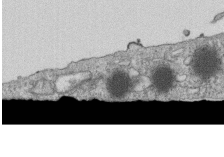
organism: Human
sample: HeLa cell HIV synapse